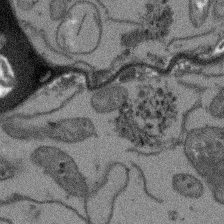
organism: Arabidopsis thaliana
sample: Root tip